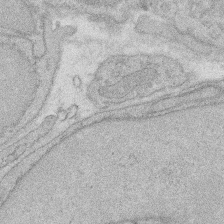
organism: Rat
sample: Salivary granule